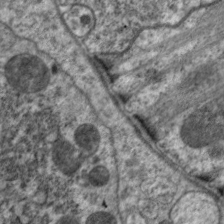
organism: C. elegans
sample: Pharynx